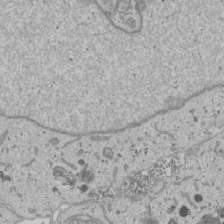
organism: Human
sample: Mitochondria in U2OS cells